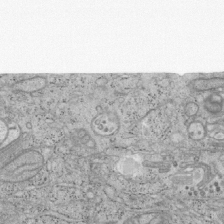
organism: Human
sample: HeLa cells